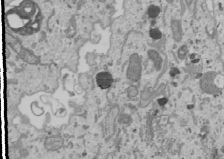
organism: Human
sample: Mitochondria in U2OS cells